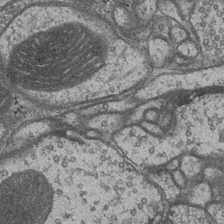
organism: Drosophila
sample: Optic medulla